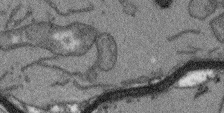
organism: Arabidopsis thaliana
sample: Root tip